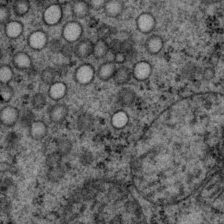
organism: P. pacificus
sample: Pharynx